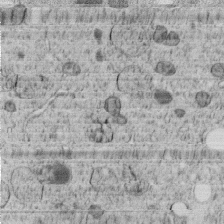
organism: C. elegans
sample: C. elegans embryo early stage